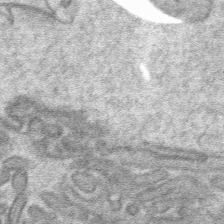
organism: Mouse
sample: Mouse hepatocytes